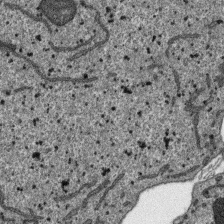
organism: Human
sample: Lung epithelial cells infected with SARS-CoV-2